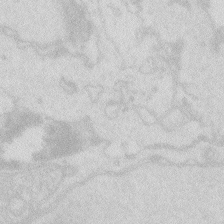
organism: Zebrafish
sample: Macrophage